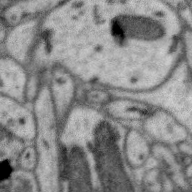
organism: Zebra finch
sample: Brain